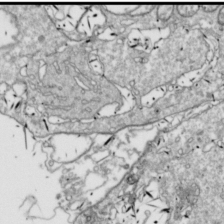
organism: Drosophila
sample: Cell division; meiosis; drosophila spermatocytes